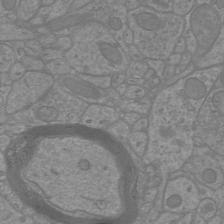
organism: Mouse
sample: Cortical neurons